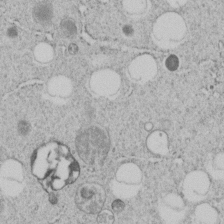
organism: C. elegans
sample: C. elegans embryo early stage